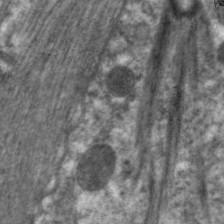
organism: C. elegans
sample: Pharynx